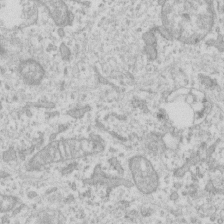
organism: Human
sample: Fibroblast cells